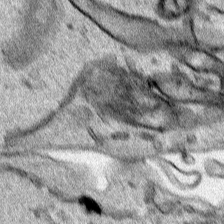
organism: Human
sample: Mitochondria in HCT116 cells